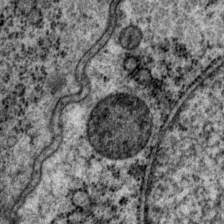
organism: P. pacificus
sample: Pharynx